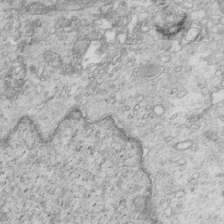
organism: Mouse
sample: Multiciliated cells